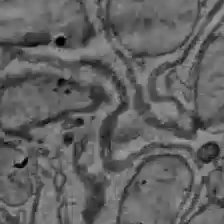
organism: C57BL Mouse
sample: Liver